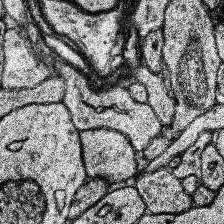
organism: Human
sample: Temporal Lobe